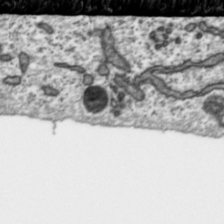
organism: Toxoplasma gondii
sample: Parasites in a vacuole inside a host cell